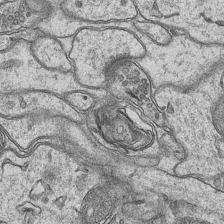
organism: Mouse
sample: CA1 Hippocampus